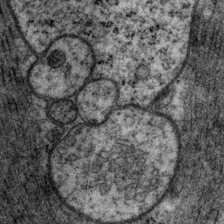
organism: P. pacificus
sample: Pharynx